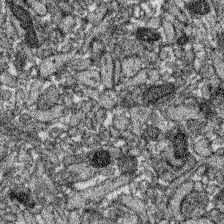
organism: Zebrafish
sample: Larval olfactory bulb